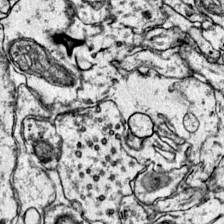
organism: Mouse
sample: Primary visual cortex